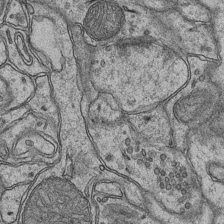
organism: Mouse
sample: CA1 Hippocampus